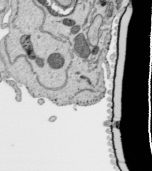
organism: Human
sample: Mitochondria in HCT116 cells